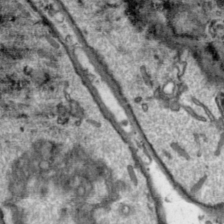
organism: Toxoplasma gondii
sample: Parasites in a vacuole inside a host cell